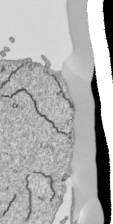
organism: Human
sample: Mitochondria in HCT116 cells